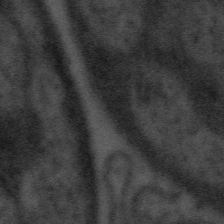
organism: Tuwongella immobilis